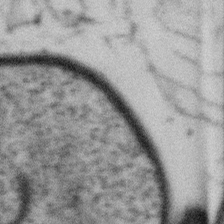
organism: Gemmata obscuriglobus